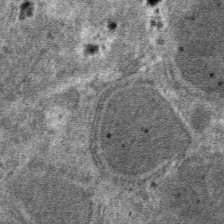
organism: Mouse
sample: Mouse hepatocytes